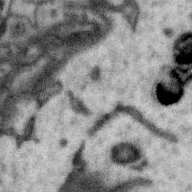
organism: Zebra finch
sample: Brain